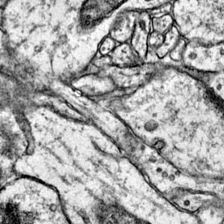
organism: Mouse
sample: Primary visual cortex